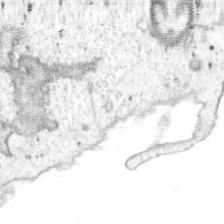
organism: Human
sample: HeLa cells